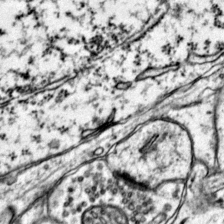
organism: Mouse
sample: Primary visual cortex